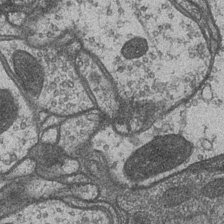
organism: Drosophila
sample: Optic medulla